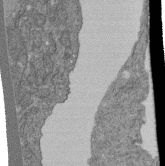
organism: Human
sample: Retinal organoid Rod and Cone cells